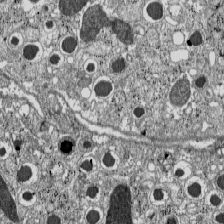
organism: C57BL Mouse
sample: Pancreatic islet